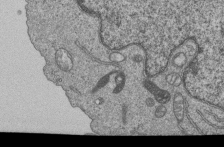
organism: Human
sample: MDA-MB-231 cells